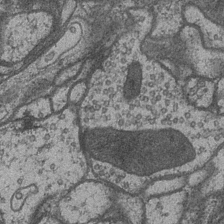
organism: Drosophila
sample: Optic medulla